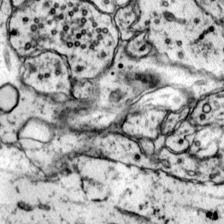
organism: Mouse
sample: Primary visual cortex